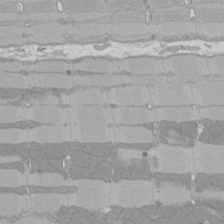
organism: Rat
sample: Left ventricle